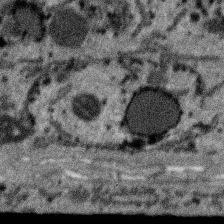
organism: Human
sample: Lung epithelial cells infected with SARS-CoV-2